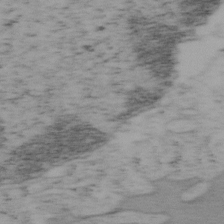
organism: Mouse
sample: OT-I killer T cells with ID8 ovarian cancer cells